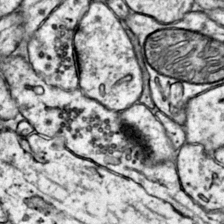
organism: Mouse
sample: Primary visual cortex